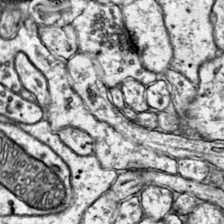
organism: Mouse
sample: Primary visual cortex